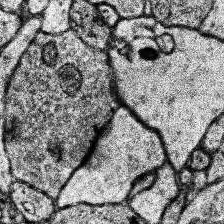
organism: Human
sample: Temporal Lobe